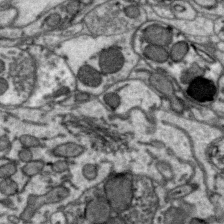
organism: Zebra finch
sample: Brain